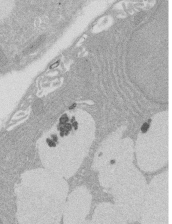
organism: Rat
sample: Salivary granule